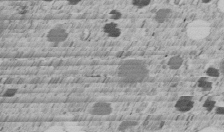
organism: C. elegans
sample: C. elegans embryo early stage